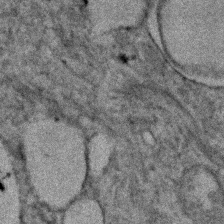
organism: Human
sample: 1205lu cells